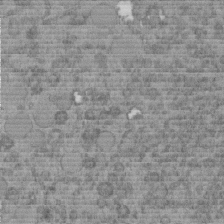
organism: C. elegans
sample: C. elegans embryo early stage